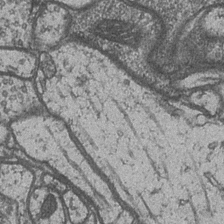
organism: Drosophila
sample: Optic medulla